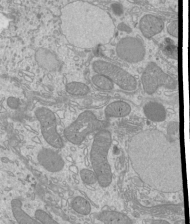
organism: Mouse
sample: Cilia; mouse epididymis